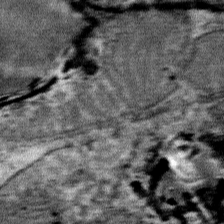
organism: Mouse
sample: Mouse Salivary gland